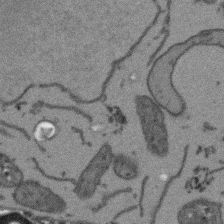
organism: Arabidopsis thaliana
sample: Root tip